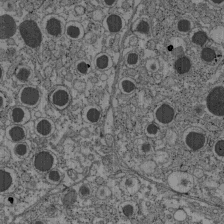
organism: C57BL Mouse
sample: Pancreatic islet